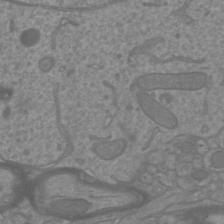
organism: Mouse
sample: Cortical neurons